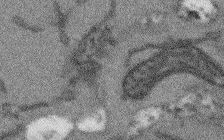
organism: Arabidopsis thaliana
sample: Root tip